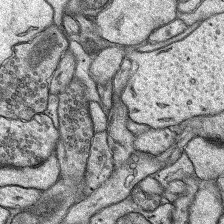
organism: Rat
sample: Hippocampus